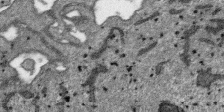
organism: Human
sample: Lung epithelial cells, uninfected (mock) control